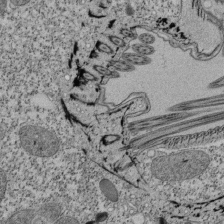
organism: Tetrahymena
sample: Cilia in tetrahymena